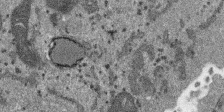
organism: Human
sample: Lung epithelial cells infected with SARS-CoV-2